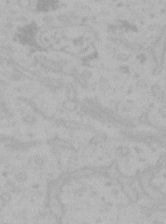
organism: Mouse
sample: Choroid plexus